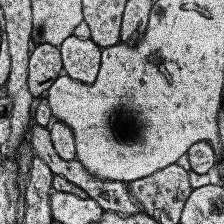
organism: Human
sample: Temporal Lobe